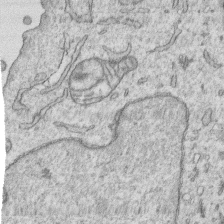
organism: Human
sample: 1205lu cells